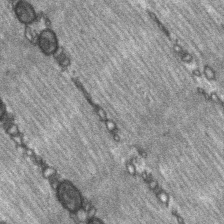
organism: C57BL Mouse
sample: Soleus